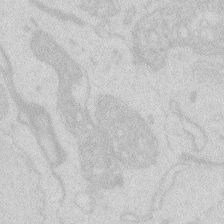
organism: Zebrafish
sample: Macrophage